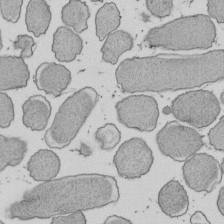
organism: E. coli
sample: Bacterial nucleoid